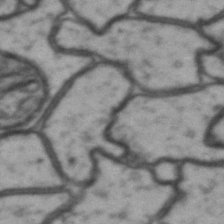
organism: Drosophila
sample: Brain